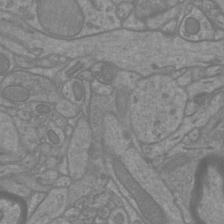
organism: Mouse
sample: Cortical neurons